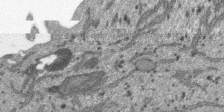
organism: Human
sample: Lung epithelial cells infected with SARS-CoV-2